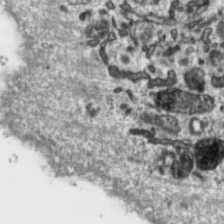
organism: Toxoplasma gondii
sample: Parasites in a vacuole inside a host cell